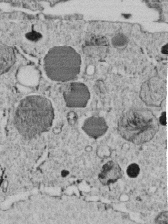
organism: C. elegans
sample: C. elegans embryo early stage